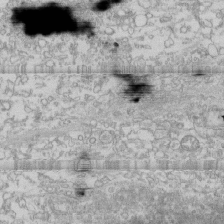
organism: Human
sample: CRL-1474